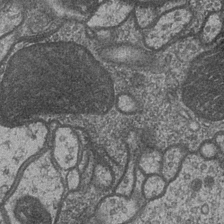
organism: Drosophila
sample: Optic medulla